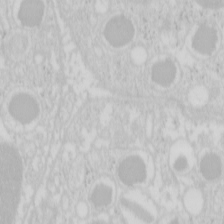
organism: Mouse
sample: Pancreas